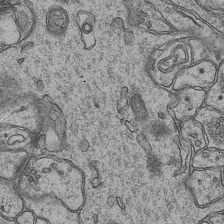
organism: Mouse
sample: CA1 Hippocampus